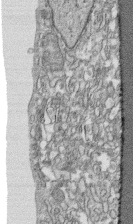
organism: Human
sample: CRL-1474